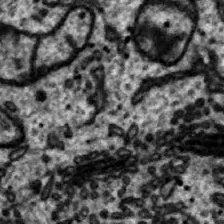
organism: Human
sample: HeLa cells